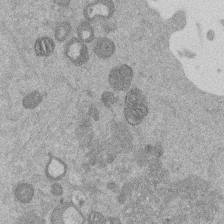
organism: Mouse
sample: Dividing mouse embryo 1 cell stage